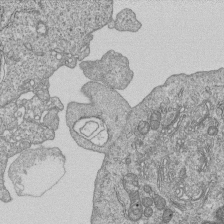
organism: Human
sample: MDA-MB-231 cells